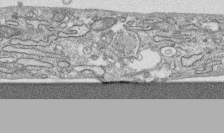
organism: Human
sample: CRL-1474